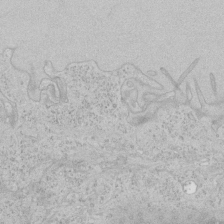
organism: Human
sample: Mitochondria in HCT116 cells